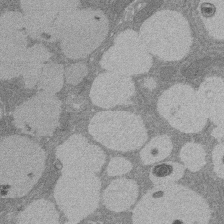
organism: Rat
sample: Salivary granule